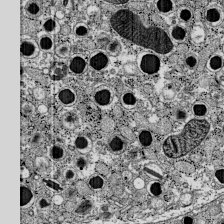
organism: C57BL Mouse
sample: Pancreatic islet